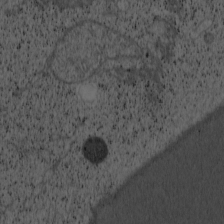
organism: African green monkey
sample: COS-7 cells